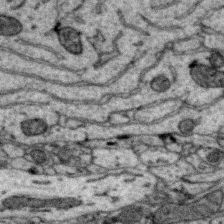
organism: Zebra finch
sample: Brain